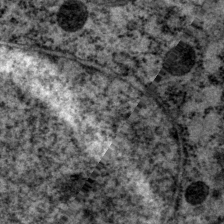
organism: P. pacificus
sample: Pharynx